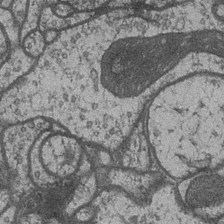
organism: Drosophila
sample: Optic medulla